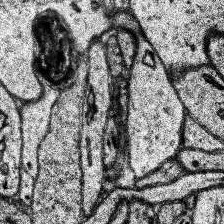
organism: Human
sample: Temporal Lobe